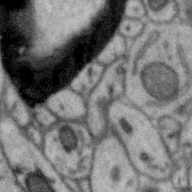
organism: Zebra finch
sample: Brain